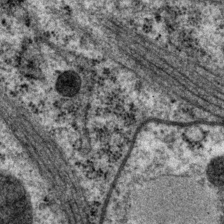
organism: P. pacificus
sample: Pharynx